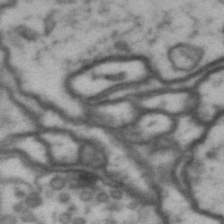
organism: Drosophila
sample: Brain